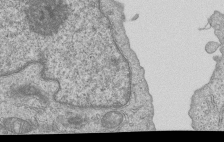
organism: Human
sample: MDA-MB-231 cells